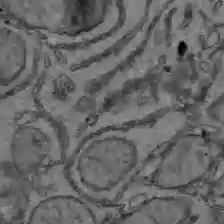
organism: C57BL Mouse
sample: Liver